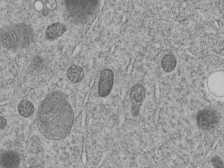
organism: C. elegans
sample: C. elegans embryo early stage